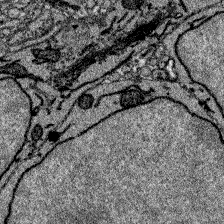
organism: Zebrafish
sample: Larval olfactory bulb